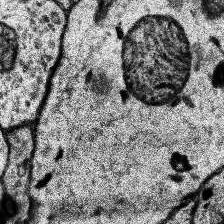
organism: Human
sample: Temporal Lobe